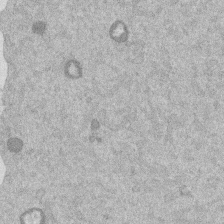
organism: Mouse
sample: Dividing mouse embryo 1 cell stage